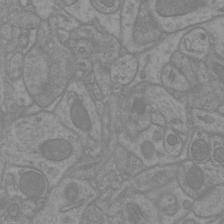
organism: Mouse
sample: Cortical neurons